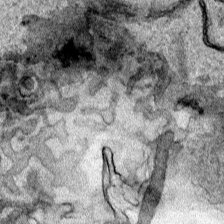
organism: Human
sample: Mitochondria in HCT116 cells